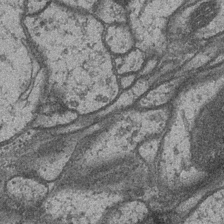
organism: Drosophila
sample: Optic medulla